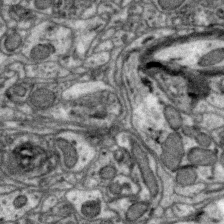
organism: Zebra finch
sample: Brain